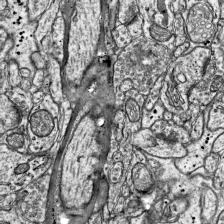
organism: Mouse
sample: Visual Cortex